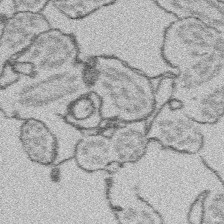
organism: Platynereis dumerilii